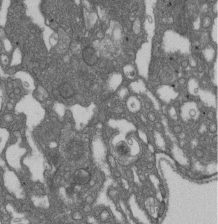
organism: Drosophila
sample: Nephrocyte